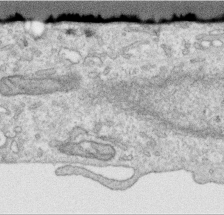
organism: Human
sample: Centriole in RPE cells